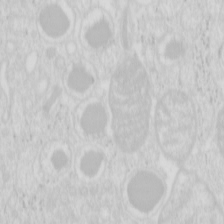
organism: Mouse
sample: Pancreas